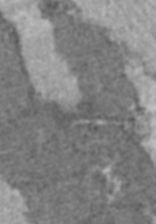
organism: C57BL Mouse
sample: Heart